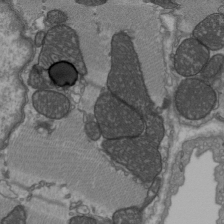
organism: C57BL Mouse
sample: Heart